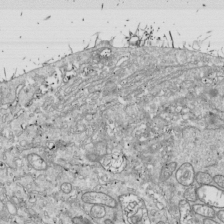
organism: Drosophila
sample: Cell division; meiosis; drosophila spermatocytes